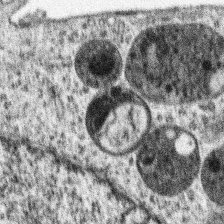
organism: Human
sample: HeLa cells